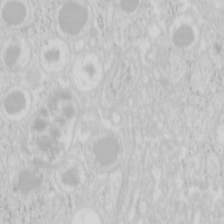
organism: Mouse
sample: Pancreas